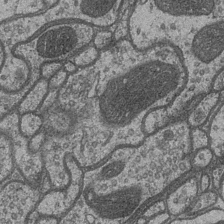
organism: Drosophila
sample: Optic medulla